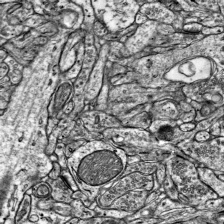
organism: Mouse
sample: Visual Cortex